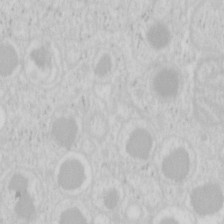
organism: Mouse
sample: Pancreas